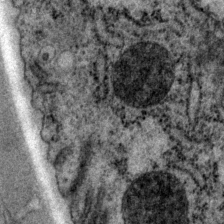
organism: P. pacificus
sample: Pharynx